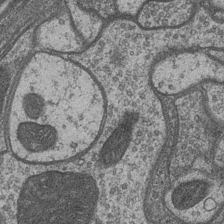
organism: Drosophila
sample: Optic medulla